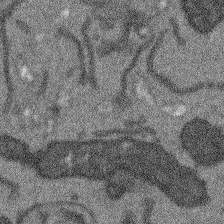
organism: Arabidopsis thaliana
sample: Root tip